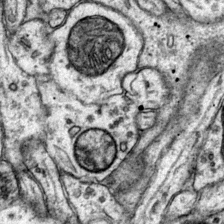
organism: Mouse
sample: Primary visual cortex